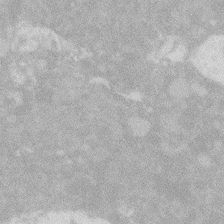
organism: Zebrafish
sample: Macrophage